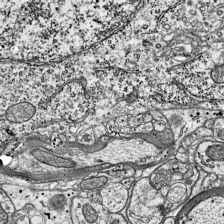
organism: Mouse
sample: Visual Cortex